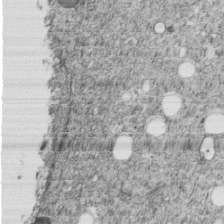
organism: C. elegans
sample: C. elegans embryo early stage